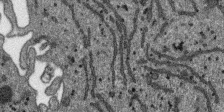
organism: Human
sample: Lung epithelial cells infected with SARS-CoV-2